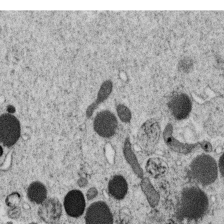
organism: C. elegans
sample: C. elegans oocyte; sperm cells